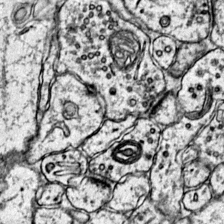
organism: Mouse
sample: Primary visual cortex